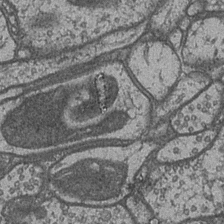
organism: Drosophila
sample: Optic medulla